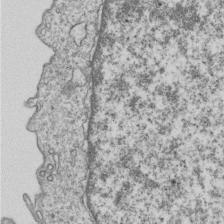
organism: Human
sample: MDA-MB-231 cells